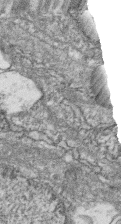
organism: Zebrafish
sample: Cilia; retinal pigment epithelium